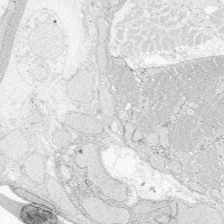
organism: Zebrafish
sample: Whole-Brain